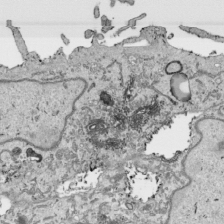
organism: Human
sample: Mitochondria in HCT116 cells